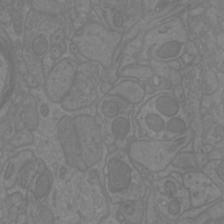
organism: Mouse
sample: Cortical neurons